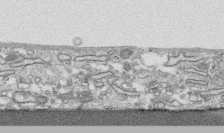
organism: Human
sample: CRL-1474